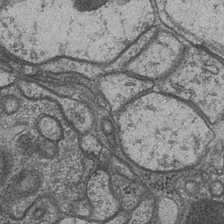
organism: Drosophila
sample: Optic medulla